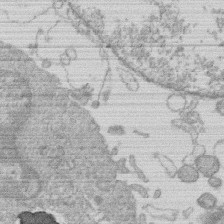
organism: Human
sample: Macrophage cells